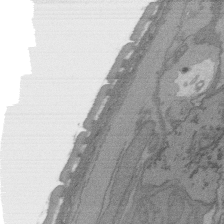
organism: C. elegans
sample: AFD neurons C. elegans